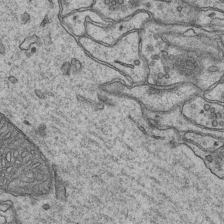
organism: Mouse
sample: CA1 Hippocampus